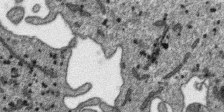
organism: Human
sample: Lung epithelial cells infected with SARS-CoV-2